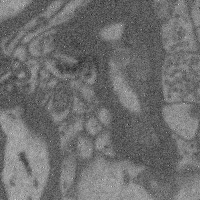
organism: Mouse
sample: Cerebral cortex